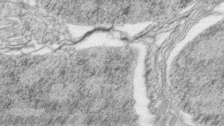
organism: Zebrafish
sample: synaptic ribbons in rod cells and cone cells